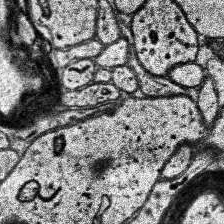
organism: Human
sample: Temporal Lobe